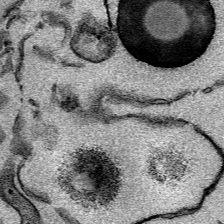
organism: Mouse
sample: Cancer cell death in ED-1 cells